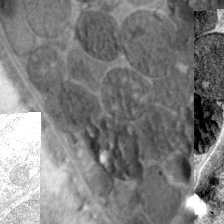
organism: C. elegans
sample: Pharynx